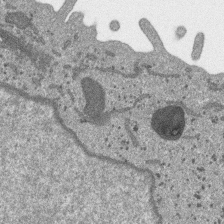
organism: Human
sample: Lung epithelial cells infected with SARS-CoV-2